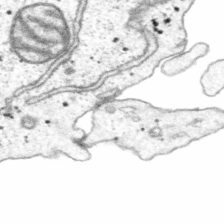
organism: Human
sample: HeLa cells